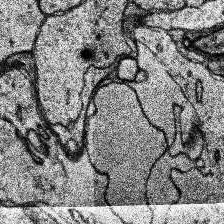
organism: Human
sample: Temporal Lobe